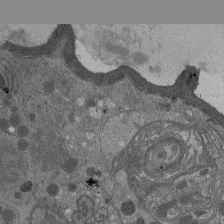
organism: Drosophila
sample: Antenna